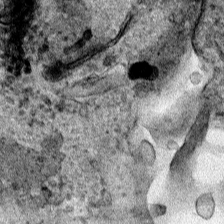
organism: Human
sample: Mitochondria in HCT116 cells